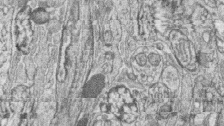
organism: Zebrafish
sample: synaptic ribbons in rod cells and cone cells